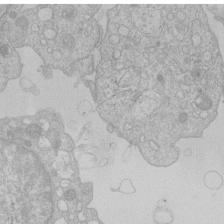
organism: Human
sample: Macrophage cells